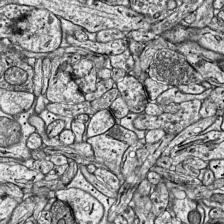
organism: Mouse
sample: Visual Cortex